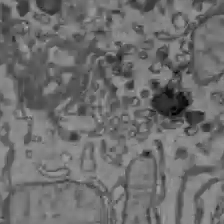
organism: C57BL Mouse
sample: Liver